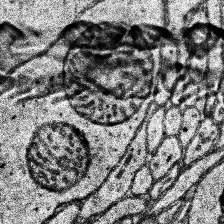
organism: Human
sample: Temporal Lobe